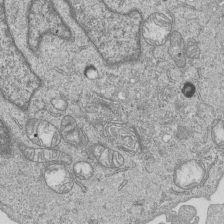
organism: Human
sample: MDA-MB-231 cells